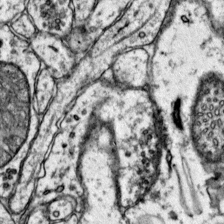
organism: Mouse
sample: Primary visual cortex